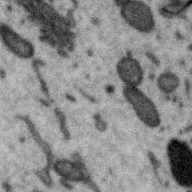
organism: Zebra finch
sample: Brain